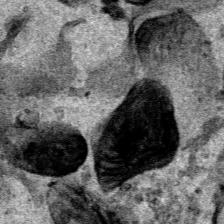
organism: Human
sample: Mitochondria in HCT116 cells